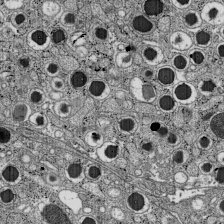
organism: C57BL Mouse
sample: Pancreatic islet